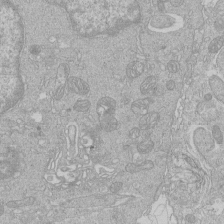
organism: Human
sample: Macrophage cells